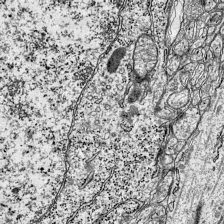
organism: Mouse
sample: Visual Cortex